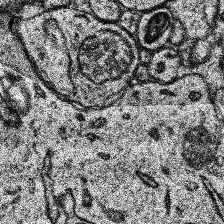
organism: Human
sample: Temporal Lobe